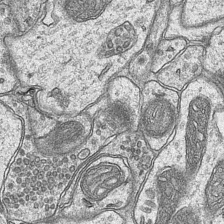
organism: Mouse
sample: CA1 Hippocampus